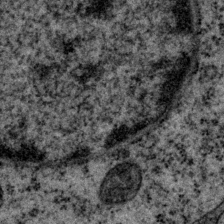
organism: P. pacificus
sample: Pharynx